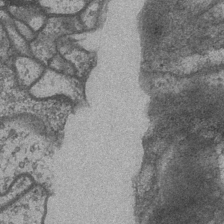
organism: Drosophila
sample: Optic medulla